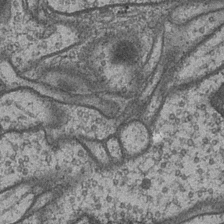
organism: Drosophila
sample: Optic medulla